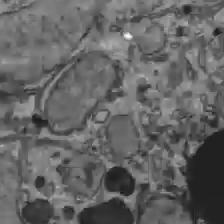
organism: C57BL Mouse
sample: Liver